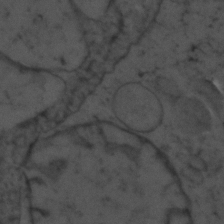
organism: Zebrafish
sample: Zebrafish embryo